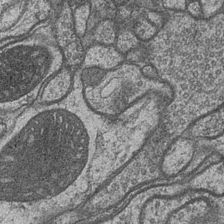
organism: Drosophila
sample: Optic medulla